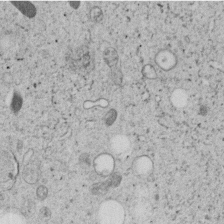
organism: C. elegans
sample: C. elegans embryo early stage